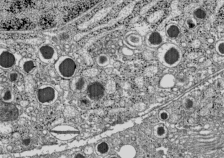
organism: C57BL Mouse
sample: Pancreatic islet